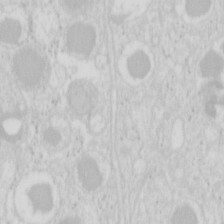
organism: Mouse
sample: Pancreas